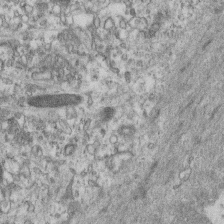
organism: Mouse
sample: Centriole in ependymal cells